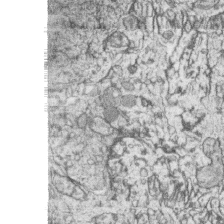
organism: Zebrafish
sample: synaptic ribbons in rod cells and cone cells